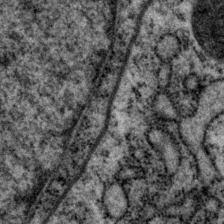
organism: P. pacificus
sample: Pharynx